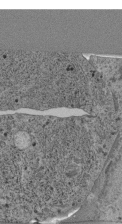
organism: C. elegans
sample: C. elegans pharynx